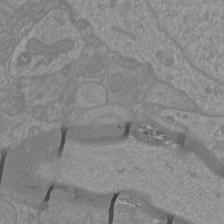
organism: Mouse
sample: Cortical neurons